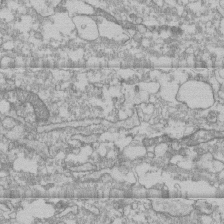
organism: Human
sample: CRL-1474